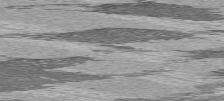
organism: C57BL Mouse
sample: Heart